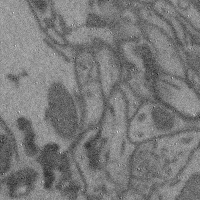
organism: Mouse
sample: Cerebral cortex